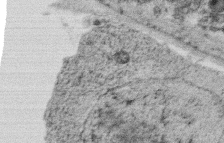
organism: C. elegans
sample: C. elegans oocyte; sperm cells